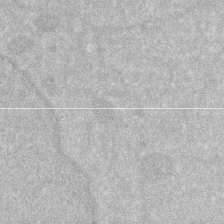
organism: Human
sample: HIV infected U937 cells